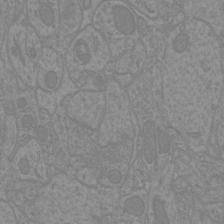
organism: Mouse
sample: Cortical neurons